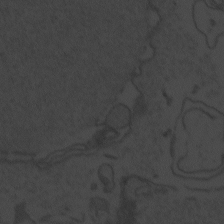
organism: Zebrafish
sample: Macrophage infected with Toxoplasma gondii